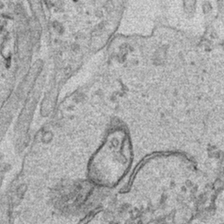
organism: Human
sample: Mitochondria in HCT116 cells